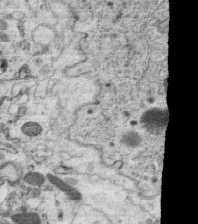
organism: C. elegans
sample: C. elegans oocyte; sperm cells